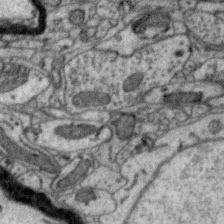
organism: Zebra finch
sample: Brain